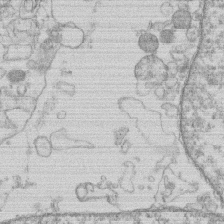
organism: Human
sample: Macrophage cells